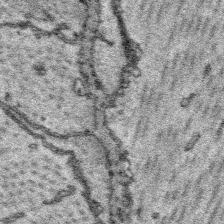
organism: Platynereis dumerilii